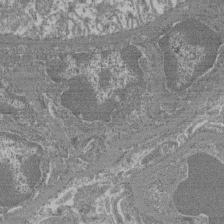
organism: Mouse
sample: Glomerulus